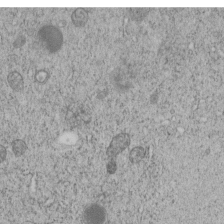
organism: C. elegans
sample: C. elegans embryo early stage